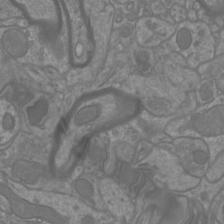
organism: Mouse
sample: Cortical neurons